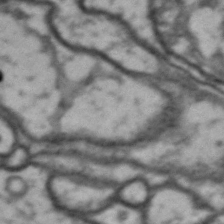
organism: Drosophila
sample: Brain